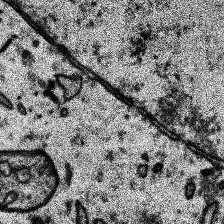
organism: Human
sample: Temporal Lobe